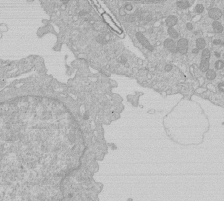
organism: Human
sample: Macrophage cells